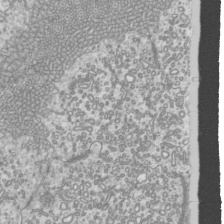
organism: Mouse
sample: Cilia; mouse epididymis